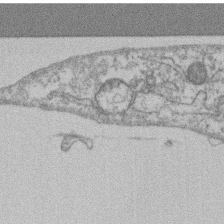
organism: Mouse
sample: T cell stromal cell synapse